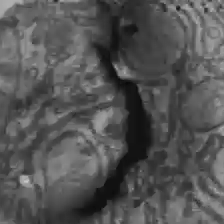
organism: C57BL Mouse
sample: Liver